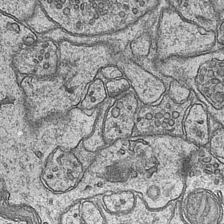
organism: Mouse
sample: CA1 Hippocampus